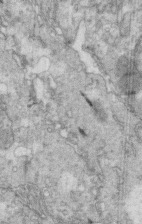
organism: Mouse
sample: Multiciliated cells